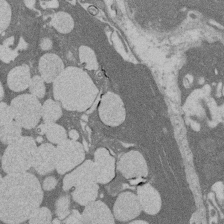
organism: Rat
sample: Salivary granule